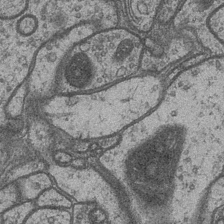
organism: Drosophila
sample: Optic medulla